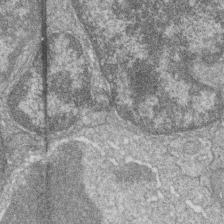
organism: Zebrafish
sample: Cilia; retinal pigment epithelium